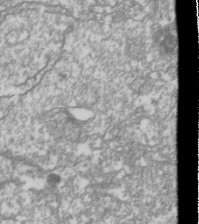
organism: Drosophila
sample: Cell division; meiosis; drosophila spermatocytes